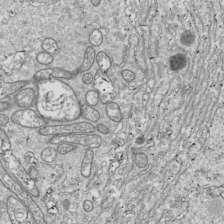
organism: Drosophila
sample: Cell division; meiosis; drosophila spermatocytes